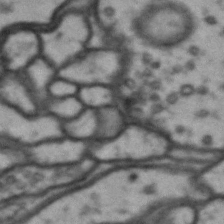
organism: Drosophila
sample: Brain